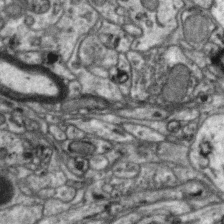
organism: Zebra finch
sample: Brain